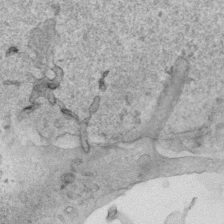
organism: Human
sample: Mitochondria in HCT116 cells